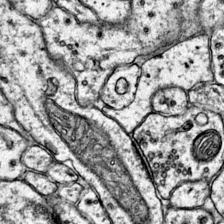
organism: Mouse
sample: Primary visual cortex